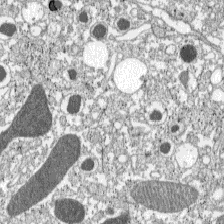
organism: C57BL Mouse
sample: Pancreatic islet